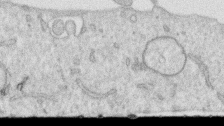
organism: Human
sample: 1205lu cells